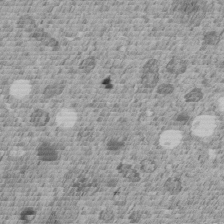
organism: C. elegans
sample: C. elegans embryo early stage